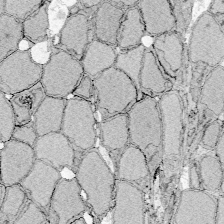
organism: Zebrafish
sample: Whole-Brain